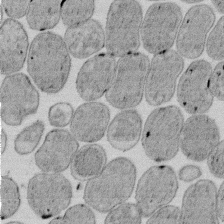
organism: E. coli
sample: Bacterial nucleoid